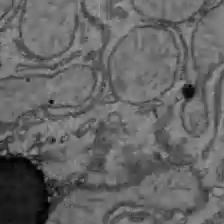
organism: C57BL Mouse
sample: Liver